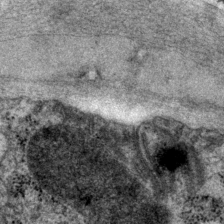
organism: P. pacificus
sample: Pharynx